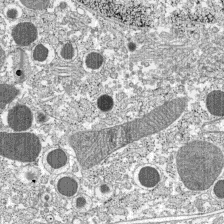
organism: C57BL Mouse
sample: Pancreatic islet